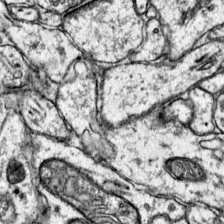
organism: Mouse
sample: Primary visual cortex